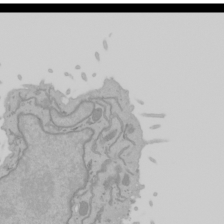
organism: Mouse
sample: Cancer cell death in ED-1 cells